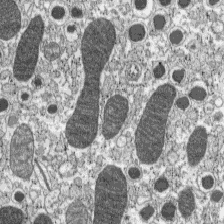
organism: C57BL Mouse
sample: Pancreatic islet